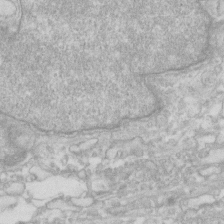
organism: Human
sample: Fibroblast cells